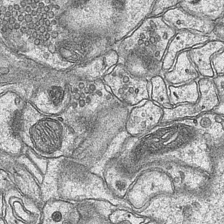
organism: Mouse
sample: CA1 Hippocampus